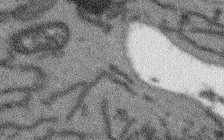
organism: Arabidopsis thaliana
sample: Root tip